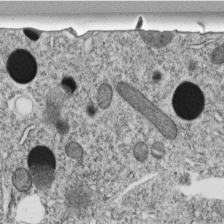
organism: C. elegans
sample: C. elegans embryo early stage